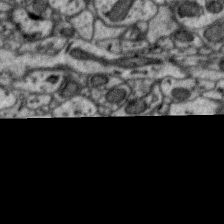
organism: Zebra finch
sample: Brain